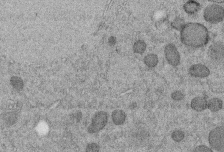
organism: C. elegans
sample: C. elegans embryo early stage